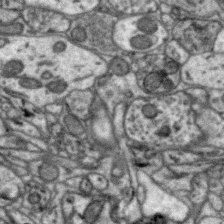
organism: Zebra finch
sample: Brain